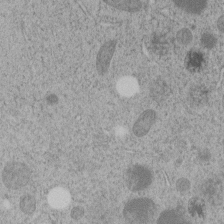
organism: C. elegans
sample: C. elegans embryo early stage